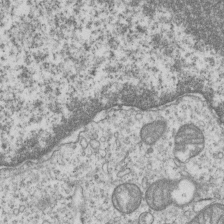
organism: Human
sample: MDA-MB-231 cells